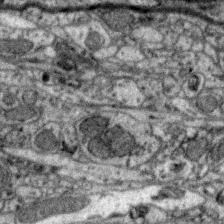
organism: Zebra finch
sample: Brain